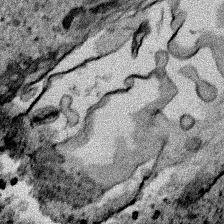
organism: Human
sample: Mitochondria in HCT116 cells